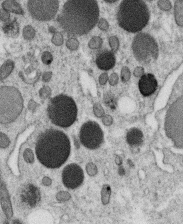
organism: C. elegans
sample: C. elegans oocyte; sperm cells